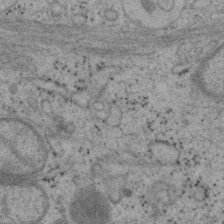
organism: Human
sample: HeLa cells